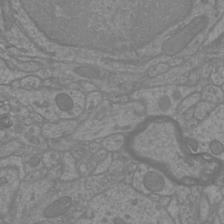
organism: Mouse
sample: Cortical neurons